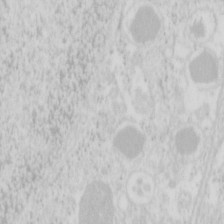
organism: Mouse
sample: Pancreas